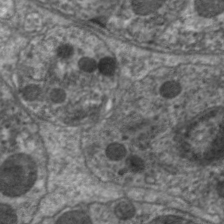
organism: C. elegans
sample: Pharynx